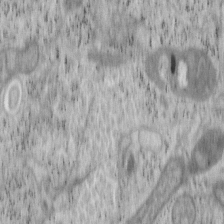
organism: Human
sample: HeLa cells